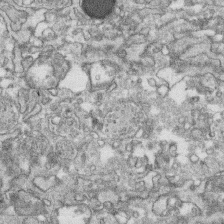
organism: Human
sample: CRL-1474